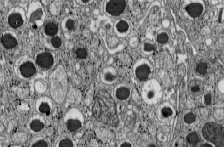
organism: C57BL Mouse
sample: Pancreatic islet